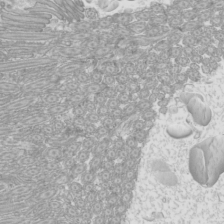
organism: Mouse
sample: Cilia; mouse epididymis